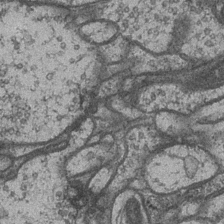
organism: Drosophila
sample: Optic medulla